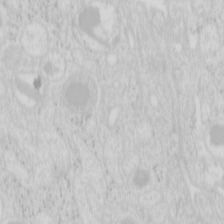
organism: Mouse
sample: Pancreas